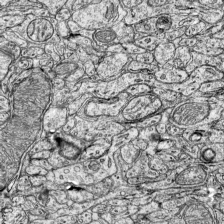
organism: Mouse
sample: Visual Cortex